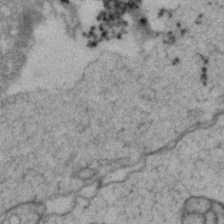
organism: Zebrafish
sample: Zebrafish embryo